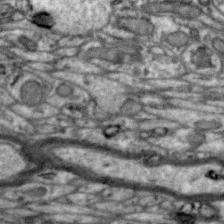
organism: Zebra finch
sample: Brain